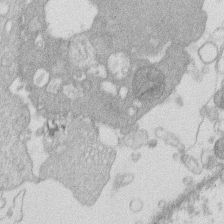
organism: Human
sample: Macrophage cells